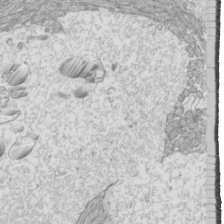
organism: Mouse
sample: Cilia; mouse epididymis